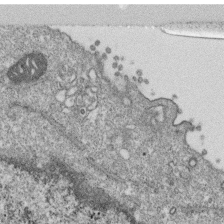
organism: African green monkey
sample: Vero E6 cells infected with SARS-CoV-2